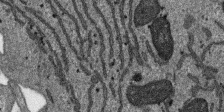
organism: Human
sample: Lung epithelial cells infected with SARS-CoV-2